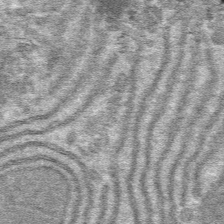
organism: Mouse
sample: Mouse hepatocytes